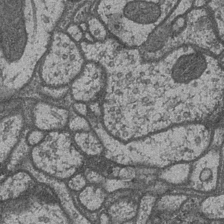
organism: Drosophila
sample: Optic medulla